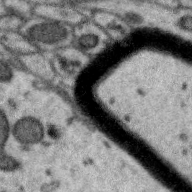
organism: Zebra finch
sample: Brain